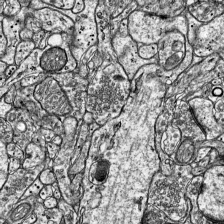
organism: Mouse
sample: Visual Cortex